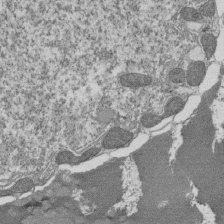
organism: Tetrahymena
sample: Cilia in tetrahymena